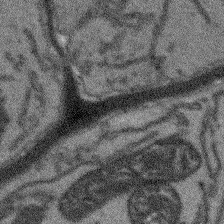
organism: Arabidopsis thaliana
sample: Root tip